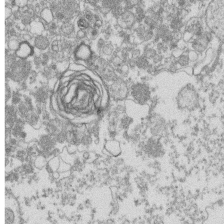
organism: Human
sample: HeLa cell HIV synapse